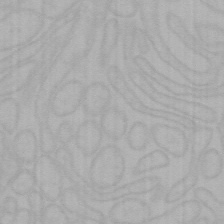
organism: Mouse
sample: Choroid plexus